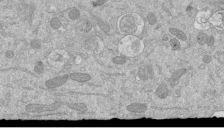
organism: Mouse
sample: ED-1 cell nuclei; centrioles